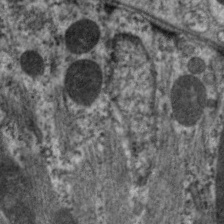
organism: C. elegans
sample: Pharynx